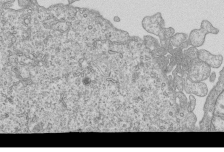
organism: Human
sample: MDA-MB-231 cells